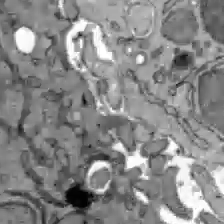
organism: C57BL Mouse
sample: Liver